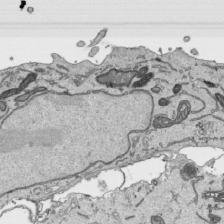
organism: Human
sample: Mitochondria in HCT116 cells